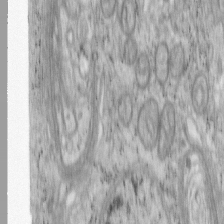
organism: Human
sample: HeLa cells